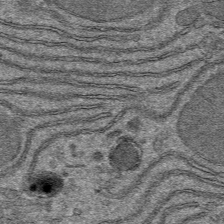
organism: Mouse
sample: Mouse hepatocytes